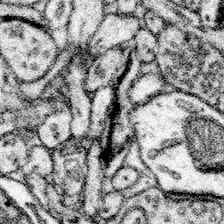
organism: Mouse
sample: Somatosensory cortex neuropil